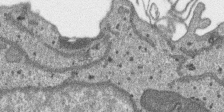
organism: Human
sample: Lung epithelial cells infected with SARS-CoV-2